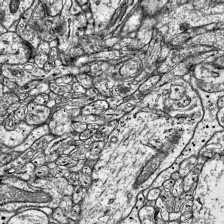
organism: Mouse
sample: Visual Cortex